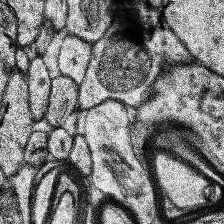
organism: Human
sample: Temporal Lobe